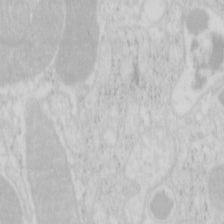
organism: Mouse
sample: Pancreas